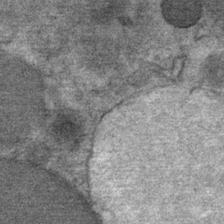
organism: Mouse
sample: Mouse Salivary gland